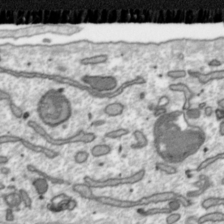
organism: Toxoplasma gondii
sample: Parasites in a vacuole inside a host cell